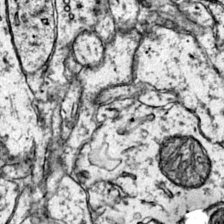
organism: Mouse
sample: Primary visual cortex